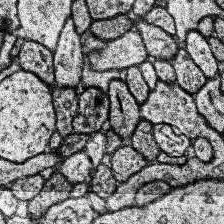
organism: Human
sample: Temporal Lobe